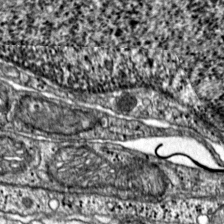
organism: Mouse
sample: Primary visual cortex